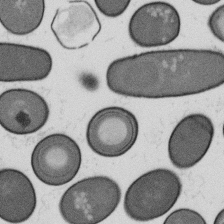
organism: B. subtilis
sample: Bacterial spore